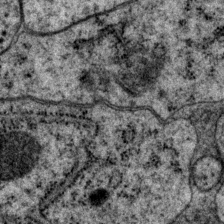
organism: P. pacificus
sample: Pharynx